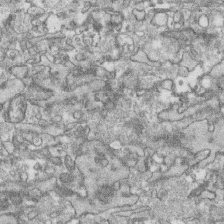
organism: Human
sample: CRL-1474